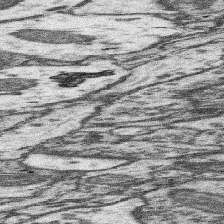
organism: Mouse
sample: Somatosensory cortex neuropil